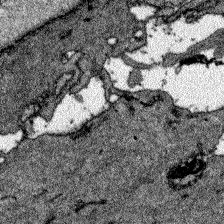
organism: Zebrafish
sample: Larval olfactory bulb